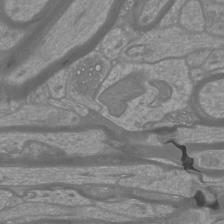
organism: Mouse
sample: Cortical neurons